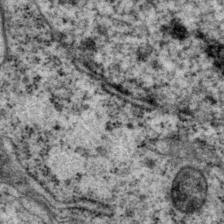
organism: P. pacificus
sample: Pharynx